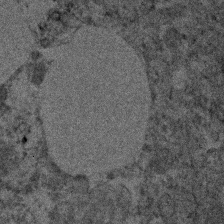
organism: Human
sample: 1205lu cells